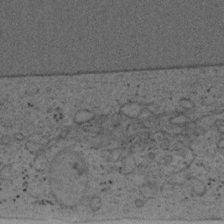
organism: Human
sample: HeLa cells